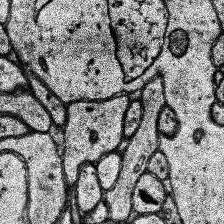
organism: Human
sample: Temporal Lobe